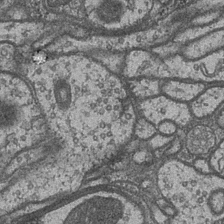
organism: Drosophila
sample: Optic medulla